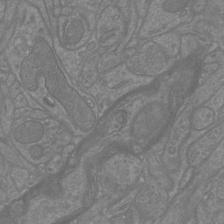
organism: Mouse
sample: Cortical neurons